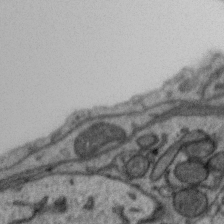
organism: Zebra finch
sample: Brain